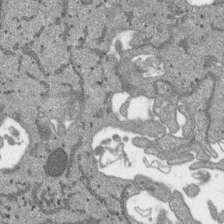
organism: Human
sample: Lung epithelial cells infected with SARS-CoV-2